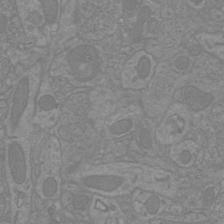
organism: Mouse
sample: Cortical neurons